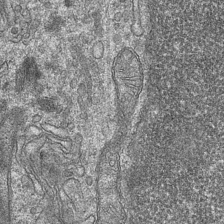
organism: Mouse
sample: CA1 Hippocampus